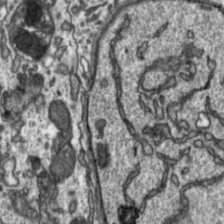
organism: Toxoplasma gondii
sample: Parasites in a vacuole inside a host cell